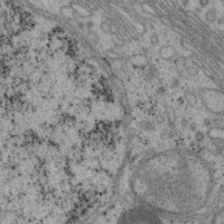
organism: Human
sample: HeLa cells